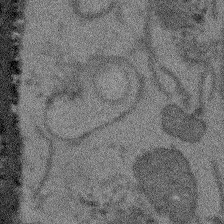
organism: Arabidopsis thaliana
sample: Root tip